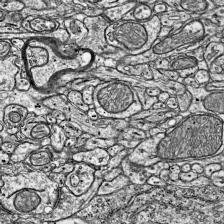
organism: Mouse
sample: Visual Cortex